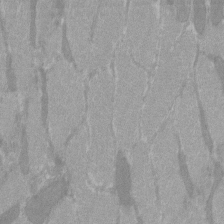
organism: C57BL Mouse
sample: Tibialis anterior muscle cell